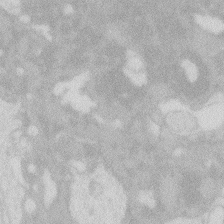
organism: Zebrafish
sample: Macrophage